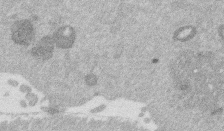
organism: Mouse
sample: Dividing mouse embryo 1 cell stage